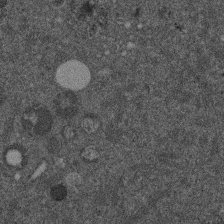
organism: Mouse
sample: Dividing mouse embryo 1 cell stage